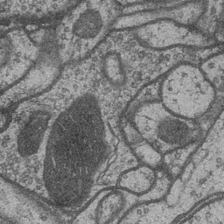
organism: Drosophila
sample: Optic medulla